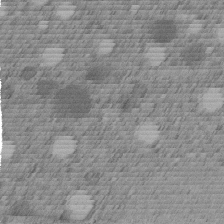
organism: C. elegans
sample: C. elegans embryo early stage